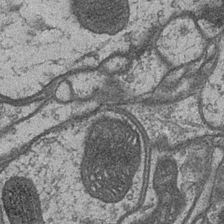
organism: Drosophila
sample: Optic medulla